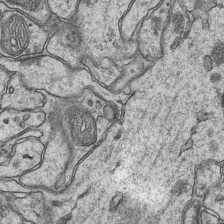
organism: Mouse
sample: CA1 Hippocampus